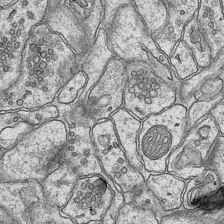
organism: Mouse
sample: CA1 Hippocampus